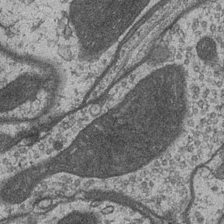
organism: Drosophila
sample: Optic medulla